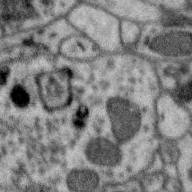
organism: Zebra finch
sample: Brain